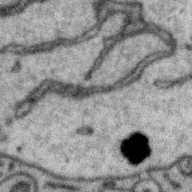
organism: Zebra finch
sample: Brain